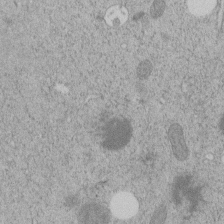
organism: C. elegans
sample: C. elegans embryo early stage